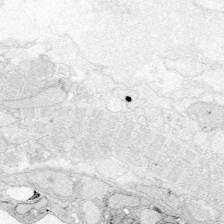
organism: Zebrafish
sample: Whole-Brain